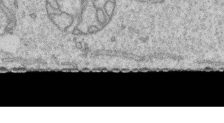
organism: Human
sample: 1205lu cells